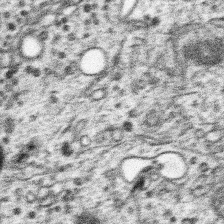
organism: Human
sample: HeLa cells